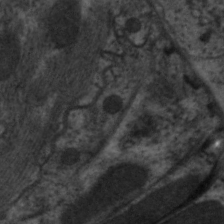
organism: C. elegans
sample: Pharynx